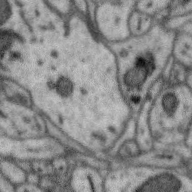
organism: Zebra finch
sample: Brain